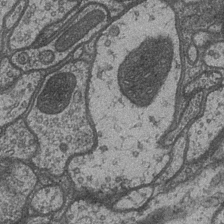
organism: Drosophila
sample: Optic medulla